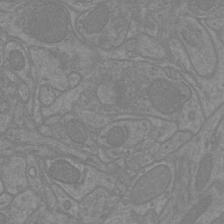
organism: Mouse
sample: Cortical neurons